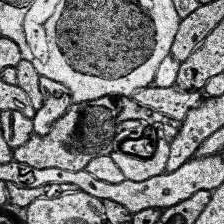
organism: Human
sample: Temporal Lobe